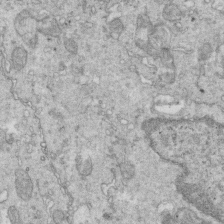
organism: Mouse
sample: Multiciliated cells